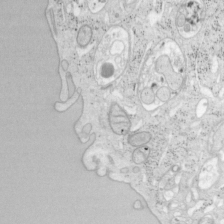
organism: Mouse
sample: OT-I killer T cells with ID8 ovarian cancer cells